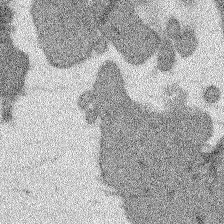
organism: Human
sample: HeLa cells